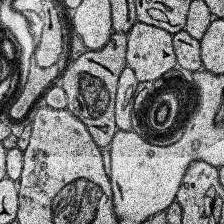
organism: Human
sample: Temporal Lobe